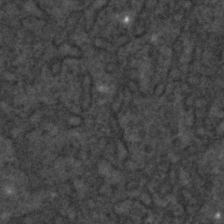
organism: C. elegans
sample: C. elegans embryo